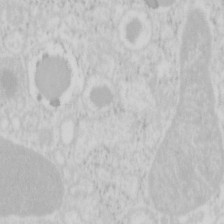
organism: Mouse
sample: Pancreas